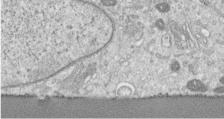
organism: Human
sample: Centriole in RPE cells